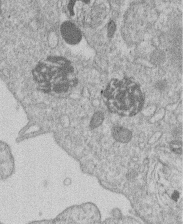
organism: Human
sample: Macrophage cells